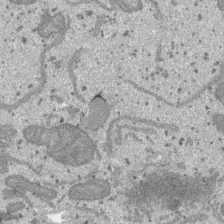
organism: Human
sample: Lung epithelial cells infected with SARS-CoV-2